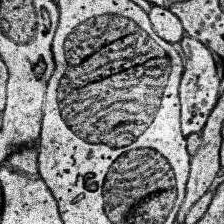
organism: Human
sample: Temporal Lobe